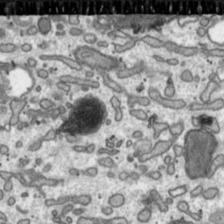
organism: Toxoplasma gondii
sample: Parasites in a vacuole inside a host cell